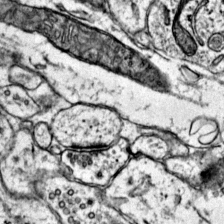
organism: Mouse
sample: Primary visual cortex